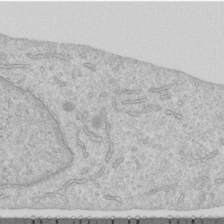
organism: Human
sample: Centriole in RPE cells